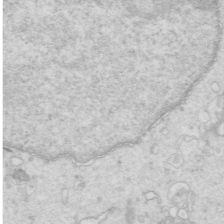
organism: Mouse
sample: Multiciliated cells